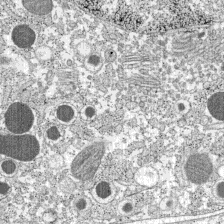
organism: C57BL Mouse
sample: Pancreatic islet